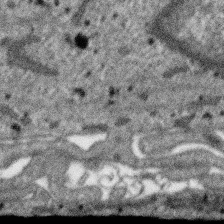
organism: Human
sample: Lung epithelial cells infected with SARS-CoV-2